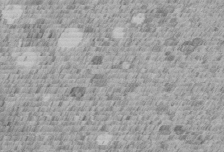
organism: C. elegans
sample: C. elegans embryo early stage